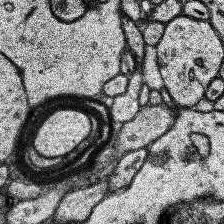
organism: Human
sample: Temporal Lobe